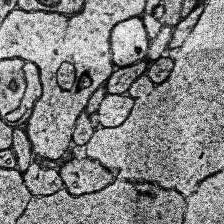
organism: Human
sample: Temporal Lobe